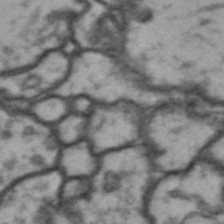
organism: Drosophila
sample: Brain